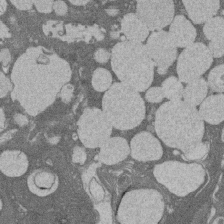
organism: Rat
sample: Salivary granule